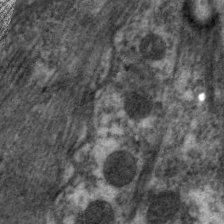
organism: C. elegans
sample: Pharynx